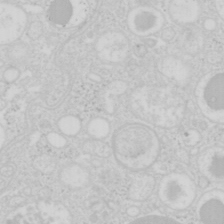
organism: Mouse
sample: Pancreas